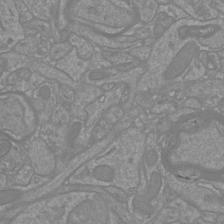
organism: Mouse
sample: Cortical neurons